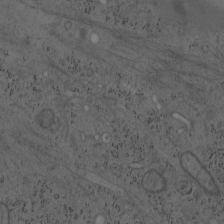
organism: Mouse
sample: OT-I killer T cells with ID8 ovarian cancer cells